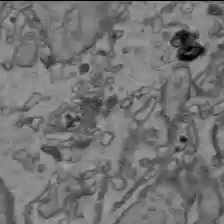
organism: C57BL Mouse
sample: Liver